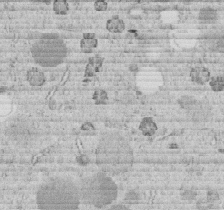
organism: C. elegans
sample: C. elegans embryo early stage